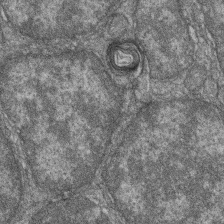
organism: Zebrafish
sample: Cilia; retinal pigment epithelium